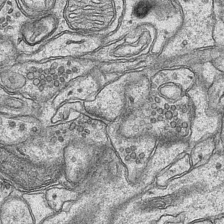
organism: Mouse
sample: CA1 Hippocampus